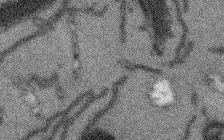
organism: Arabidopsis thaliana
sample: Root tip